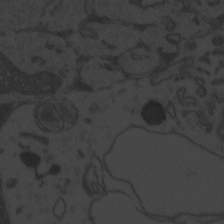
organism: Zebrafish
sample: Macrophage infected with Toxoplasma gondii